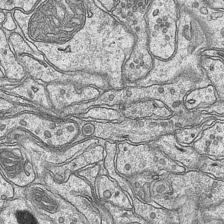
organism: Mouse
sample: CA1 Hippocampus